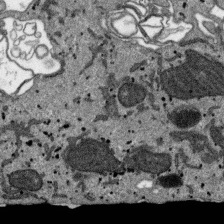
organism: Human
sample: Lung epithelial cells, uninfected (mock) control